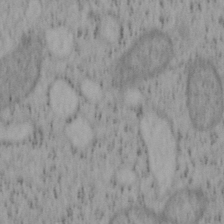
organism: Mouse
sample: OT-I killer T cells with ID8 ovarian cancer cells